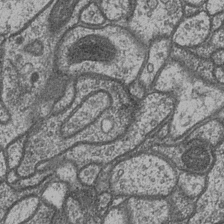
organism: Drosophila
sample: Optic medulla